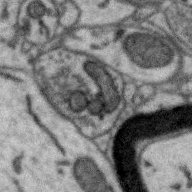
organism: Zebra finch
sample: Brain